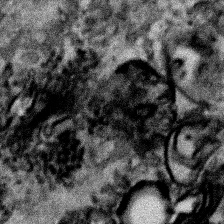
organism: Human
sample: Mitochondria in HCT116 cells